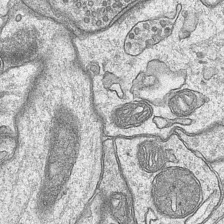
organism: Mouse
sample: CA1 Hippocampus